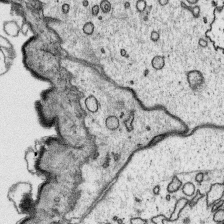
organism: Platynereis dumerilii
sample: Parapodia